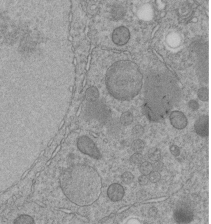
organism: C. elegans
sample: C. elegans embryo early stage